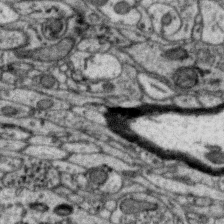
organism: Zebra finch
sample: Brain